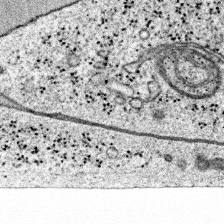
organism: Human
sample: HeLa cells